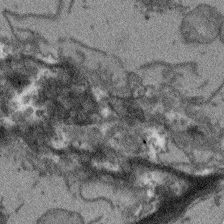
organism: Arabidopsis thaliana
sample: Root tip